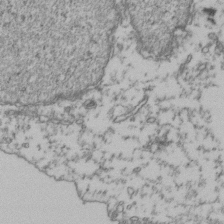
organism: Human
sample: Activated Jurkat CD4+ T cells